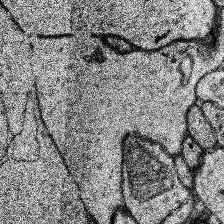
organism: Human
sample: Temporal Lobe